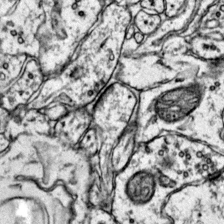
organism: Mouse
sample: Primary visual cortex